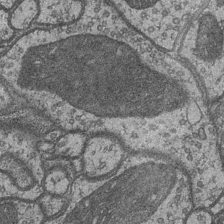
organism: Drosophila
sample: Optic medulla